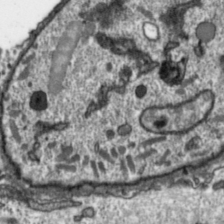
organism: Toxoplasma gondii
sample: Parasites in a vacuole inside a host cell